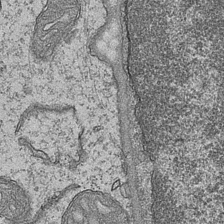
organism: Mouse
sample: CA1 Hippocampus